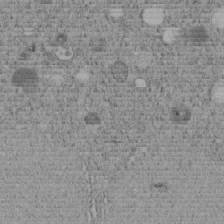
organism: C. elegans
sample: C. elegans embryo early stage